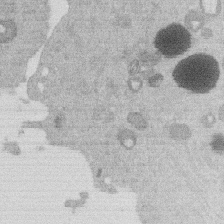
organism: Mouse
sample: Dividing mouse embryo 1 cell stage